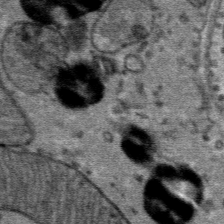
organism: Mouse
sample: Mouse Salivary gland